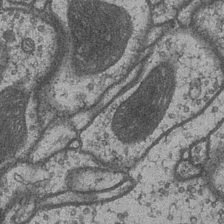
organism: Drosophila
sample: Optic medulla